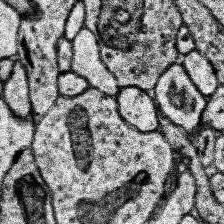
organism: Human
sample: Temporal Lobe